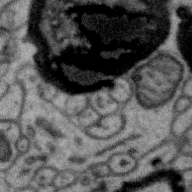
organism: Zebra finch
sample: Brain